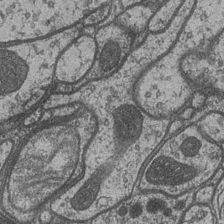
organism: Drosophila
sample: Optic medulla